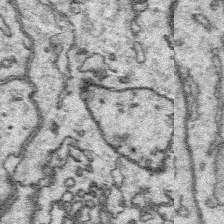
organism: Platynereis dumerilii